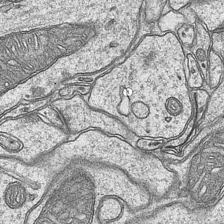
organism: Mouse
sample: CA1 Hippocampus